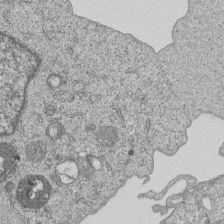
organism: Human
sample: MDA-MB-231 cells